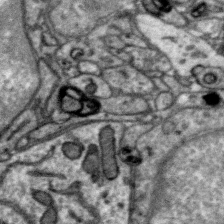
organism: Zebra finch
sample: Brain